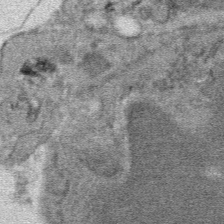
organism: Mouse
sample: Mouse hepatocytes